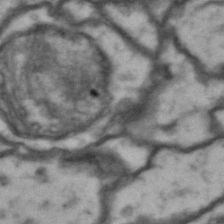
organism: Drosophila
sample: Brain